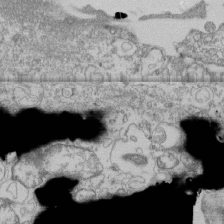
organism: Human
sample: Fibroblast cells